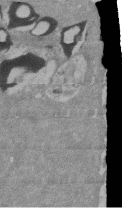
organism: Mouse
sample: ED-1 cell nuclei; centrioles